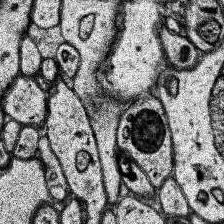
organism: Human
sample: Temporal Lobe